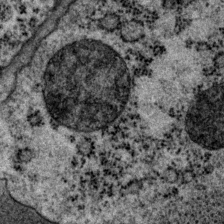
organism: P. pacificus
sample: Pharynx